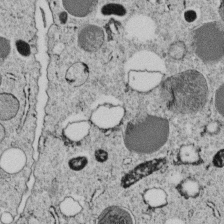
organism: C. elegans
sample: C. elegans embryo early stage